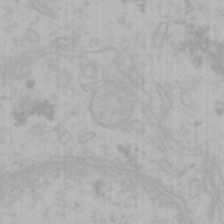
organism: Mouse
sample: Choroid plexus